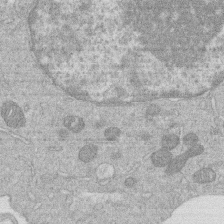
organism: Human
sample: Macrophage cells